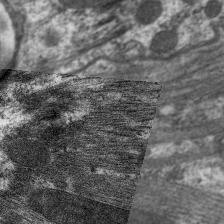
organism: C. elegans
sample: Pharynx